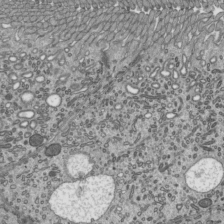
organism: Mouse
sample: Mouse epididymis efferent ductule cilia